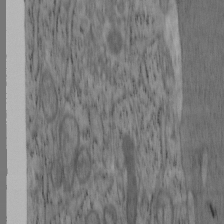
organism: Human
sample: HeLa cells